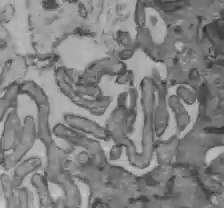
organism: C57BL Mouse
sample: Liver